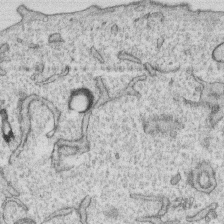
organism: Human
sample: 1205lu cells